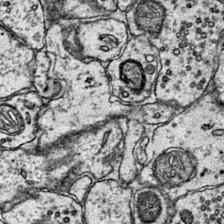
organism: Mouse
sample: Primary visual cortex